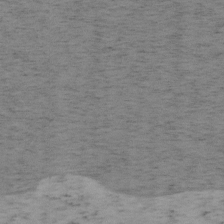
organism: Mouse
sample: OT-I killer T cells with ID8 ovarian cancer cells